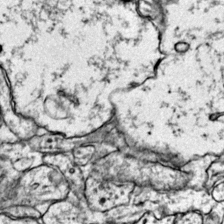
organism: Mouse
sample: Primary visual cortex